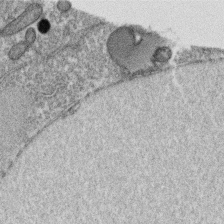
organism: C. elegans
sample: C. elegans oocyte; sperm cells